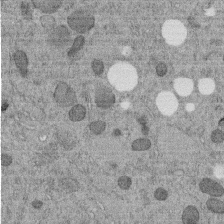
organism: C. elegans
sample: C. elegans embryo early stage